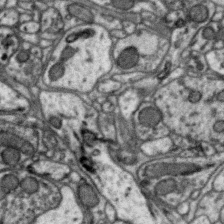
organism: Zebra finch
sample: Brain